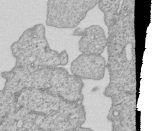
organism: Human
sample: MDA-MB-231 cells